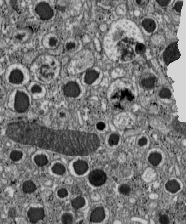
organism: C57BL Mouse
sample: Pancreatic islet